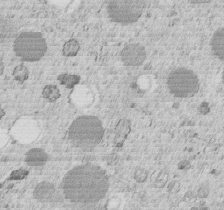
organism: C. elegans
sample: C. elegans embryo early stage